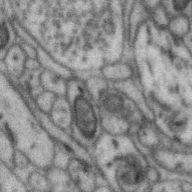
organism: Zebra finch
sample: Brain